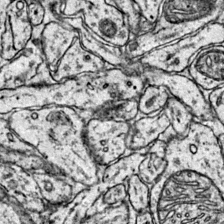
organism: Mouse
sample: Primary visual cortex